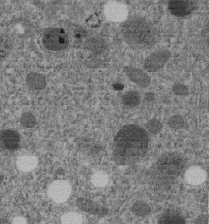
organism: C. elegans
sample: C. elegans embryo early stage